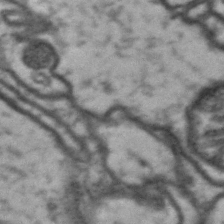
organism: Drosophila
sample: Brain